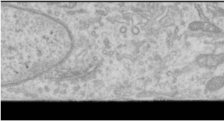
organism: Human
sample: Cilia; basal body in RPE cells